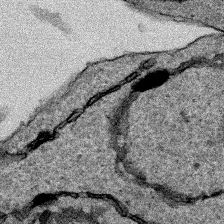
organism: Human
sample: Mitochondria in HCT116 cells